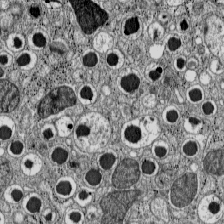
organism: C57BL Mouse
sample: Pancreatic islet